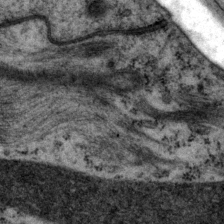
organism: P. pacificus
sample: Pharynx